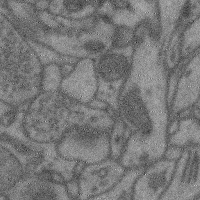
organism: Mouse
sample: Cerebral cortex